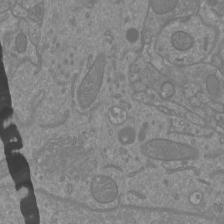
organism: Mouse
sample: Cortical neurons